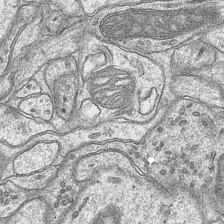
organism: Mouse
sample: CA1 Hippocampus